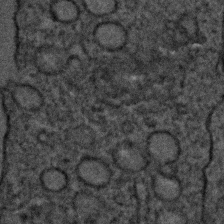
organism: C. elegans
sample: C. elegans embryo